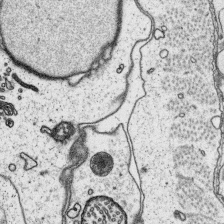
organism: Platynereis dumerilii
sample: Parapodia